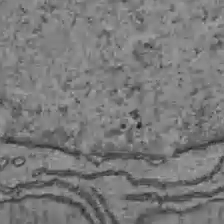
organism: C57BL Mouse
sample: Liver